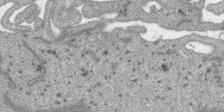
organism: Human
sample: Lung epithelial cells infected with SARS-CoV-2